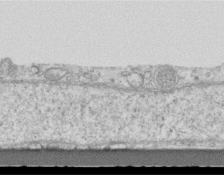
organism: Mouse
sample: Centriole in ependymal cells